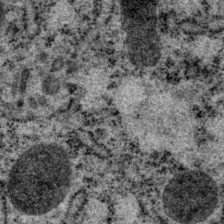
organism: P. pacificus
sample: Pharynx